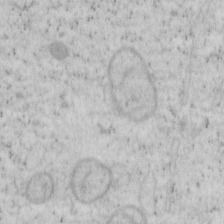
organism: Human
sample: HeLa cells